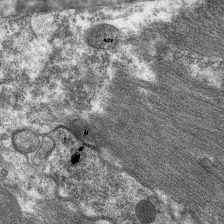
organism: C. elegans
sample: Pharynx